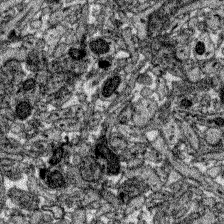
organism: Zebrafish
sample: Larval olfactory bulb